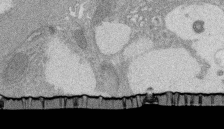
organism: Rat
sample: Salivary granule